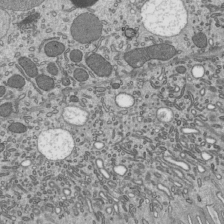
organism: Mouse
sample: Mouse epididymis efferent ductule cilia